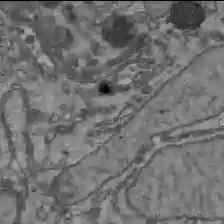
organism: C57BL Mouse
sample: Liver